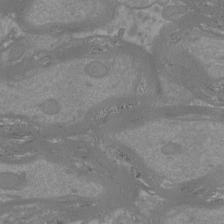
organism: Mouse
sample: Cortical neurons